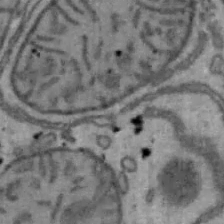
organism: Mouse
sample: Liver